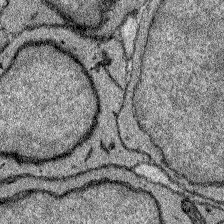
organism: Zebrafish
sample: Larval olfactory bulb